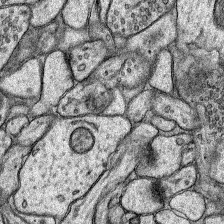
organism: Rat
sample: Hippocampus